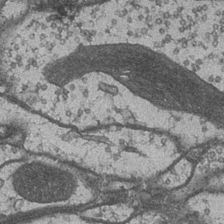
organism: Drosophila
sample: Optic medulla